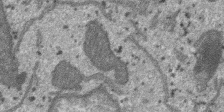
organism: Human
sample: Lung epithelial cells infected with SARS-CoV-2